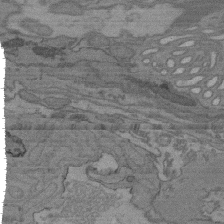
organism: C. elegans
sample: AFD neurons C. elegans